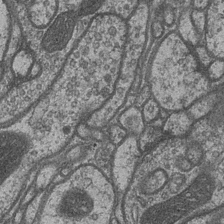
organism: Drosophila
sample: Optic medulla